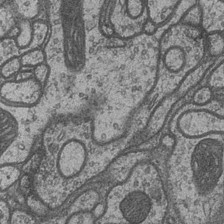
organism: Drosophila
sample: Optic medulla